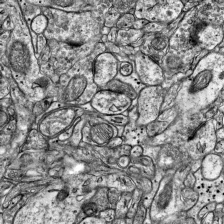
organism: Mouse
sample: Visual Cortex